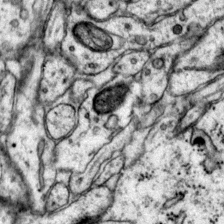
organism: Mouse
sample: Primary visual cortex